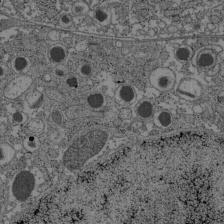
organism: C57BL Mouse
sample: Pancreatic islet